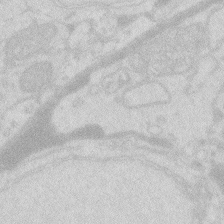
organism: Zebrafish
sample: Macrophage